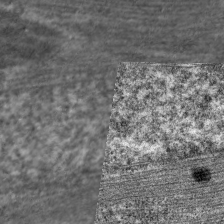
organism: C. elegans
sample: Pharynx